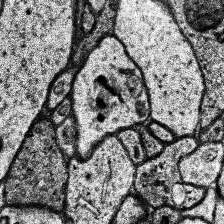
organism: Human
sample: Temporal Lobe